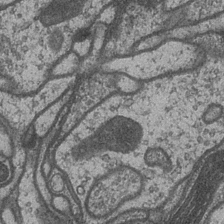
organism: Drosophila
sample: Optic medulla